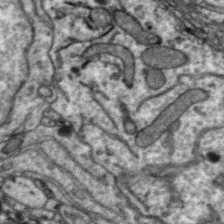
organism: Zebra finch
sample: Brain